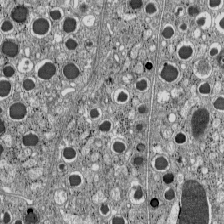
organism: C57BL Mouse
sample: Pancreatic islet